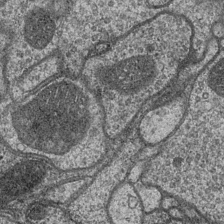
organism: Drosophila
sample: Optic medulla